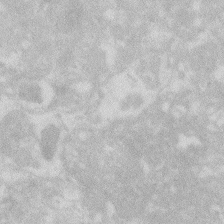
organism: Zebrafish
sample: Macrophage